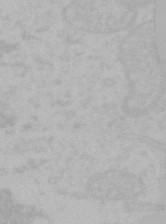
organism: Mouse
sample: Choroid plexus